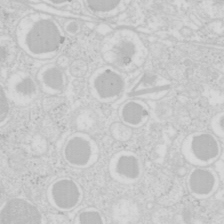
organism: Mouse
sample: Pancreas